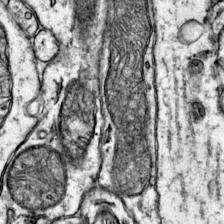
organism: Mouse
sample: Primary visual cortex